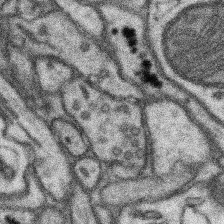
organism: Mouse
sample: Somatosensory cortex neuropil